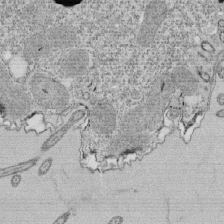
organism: Tetrahymena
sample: Cilia in tetrahymena